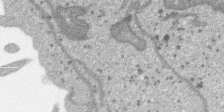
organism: Human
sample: Lung epithelial cells infected with SARS-CoV-2